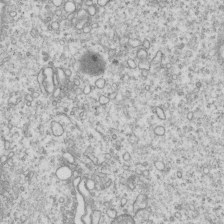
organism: Human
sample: MDA-MB-231 cells